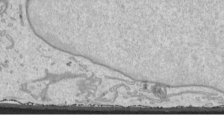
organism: Human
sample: Mitochondria in HCT116 cells